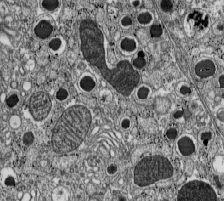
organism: C57BL Mouse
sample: Pancreatic islet